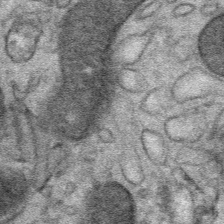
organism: Mouse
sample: Mouse Salivary gland